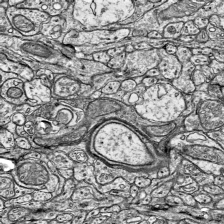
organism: Mouse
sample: Visual Cortex